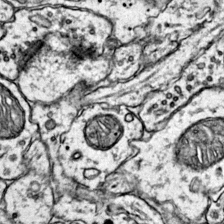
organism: Mouse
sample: Primary visual cortex